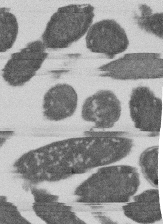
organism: E. coli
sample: Bacterial nucleoid